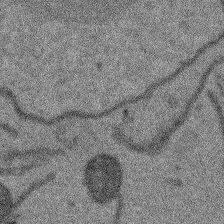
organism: Arabidopsis thaliana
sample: Root tip